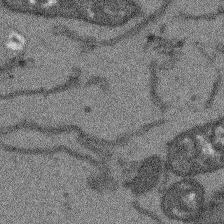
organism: Arabidopsis thaliana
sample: Root tip